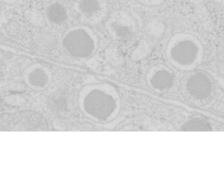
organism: Mouse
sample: Pancreas